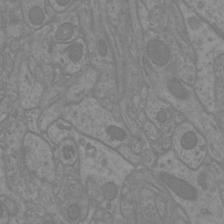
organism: Mouse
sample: Cortical neurons